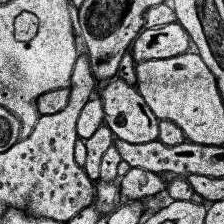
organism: Human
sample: Temporal Lobe